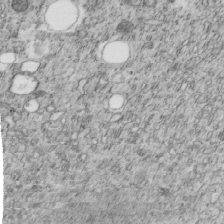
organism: C. elegans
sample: C. elegans embryo early stage